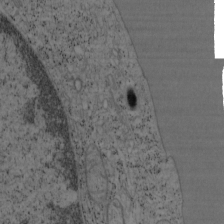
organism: Mouse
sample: OT-I killer T cells with ID8 ovarian cancer cells